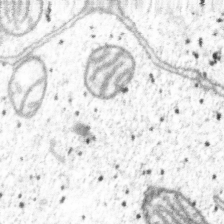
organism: Human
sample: HeLa cells